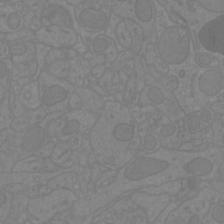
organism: Mouse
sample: Cortical neurons